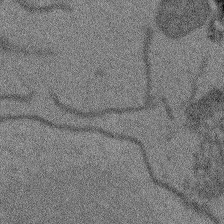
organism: Arabidopsis thaliana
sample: Root tip